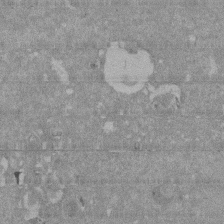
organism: Mouse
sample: ED-1 cell nuclei; centrioles